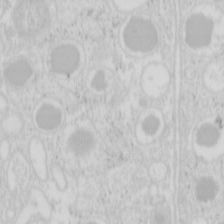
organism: Mouse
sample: Pancreas